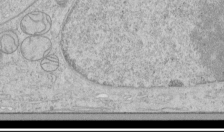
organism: Human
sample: Mitochondria in HCT116 cells